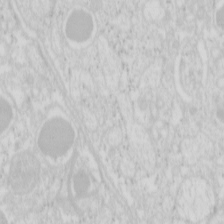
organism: Mouse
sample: Pancreas